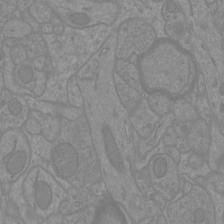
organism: Mouse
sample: Cortical neurons